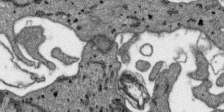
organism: Human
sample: Lung epithelial cells, uninfected (mock) control